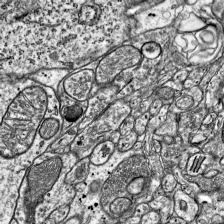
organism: Mouse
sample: Visual Cortex